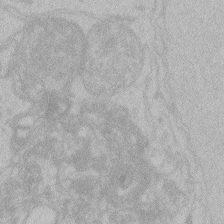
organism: Zebrafish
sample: Macrophage infected with Toxoplasma gondii